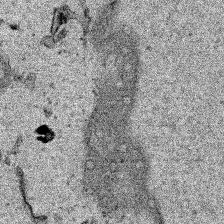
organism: Human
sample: Mitochondria in HCT116 cells